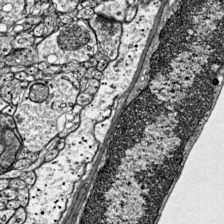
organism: Mouse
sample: Visual Cortex